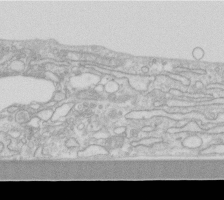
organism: Human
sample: Fibroblast cells